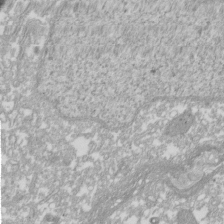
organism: Xenopus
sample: Cilia; centrioles in frog embryo cells